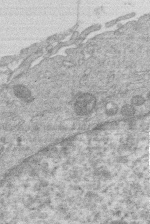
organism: Human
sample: Macrophage cells